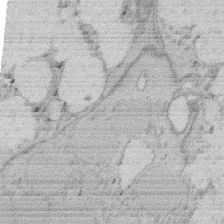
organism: Rat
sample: Salivary granule